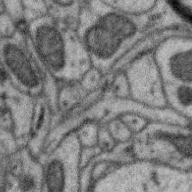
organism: Zebra finch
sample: Brain